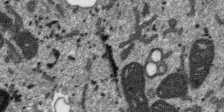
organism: Human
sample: Lung epithelial cells infected with SARS-CoV-2